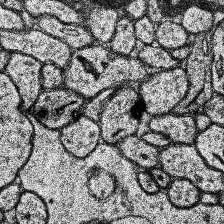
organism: Human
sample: Temporal Lobe